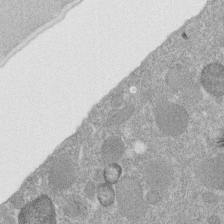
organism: C. elegans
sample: C. elegans embryo early stage